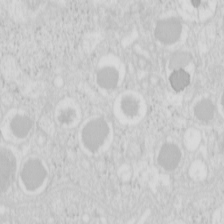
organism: Mouse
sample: Pancreas